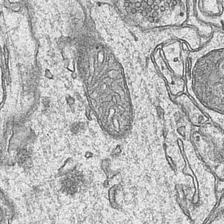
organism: Mouse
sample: CA1 Hippocampus